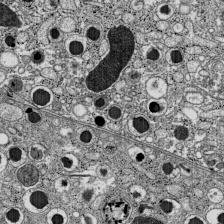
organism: C57BL Mouse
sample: Pancreatic islet